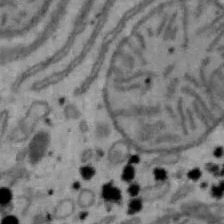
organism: Mouse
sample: Liver